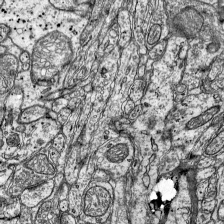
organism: Mouse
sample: Visual Cortex